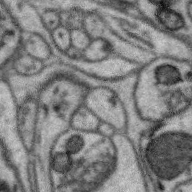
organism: Zebra finch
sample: Brain